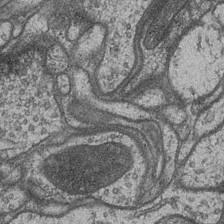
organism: Drosophila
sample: Optic medulla